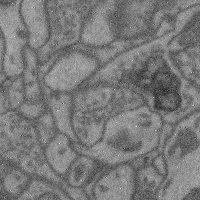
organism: Mouse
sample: Cerebral cortex